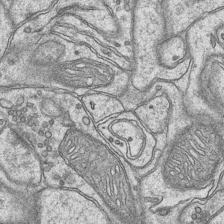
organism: Mouse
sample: CA1 Hippocampus